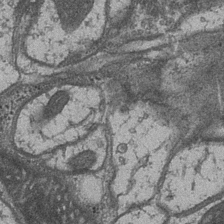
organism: Drosophila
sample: Optic medulla